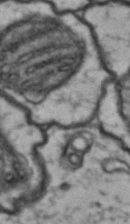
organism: Drosophila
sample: Brain